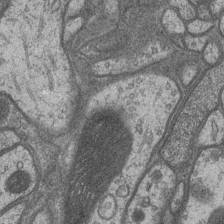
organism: Drosophila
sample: Optic medulla